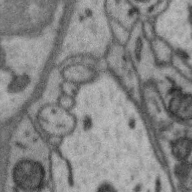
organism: Zebra finch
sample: Brain